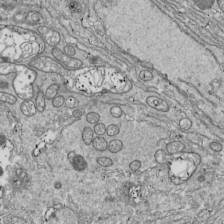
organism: Drosophila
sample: Cell division; meiosis; drosophila spermatocytes